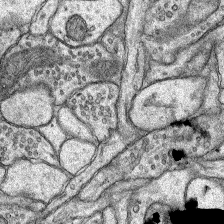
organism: Rat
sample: Hippocampus